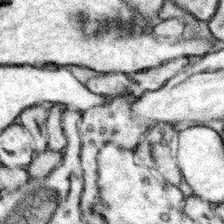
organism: Mouse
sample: Somatosensory cortex neuropil